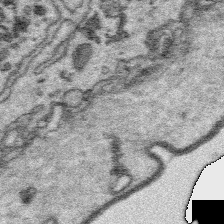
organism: Platynereis dumerilii